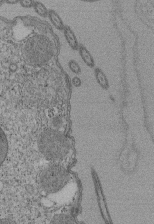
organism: Tetrahymena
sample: Cilia in tetrahymena